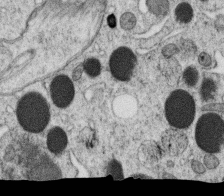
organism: C. elegans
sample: C. elegans oocyte; sperm cells